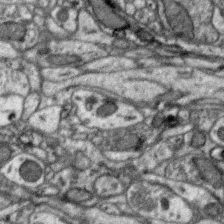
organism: Zebra finch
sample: Brain